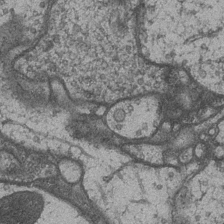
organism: Drosophila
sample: Optic medulla